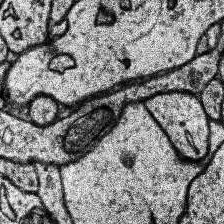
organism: Human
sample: Temporal Lobe